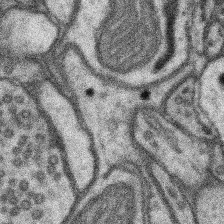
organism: Mouse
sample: Somatosensory cortex neuropil